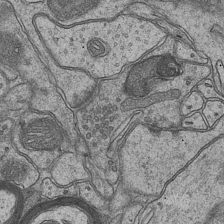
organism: Mouse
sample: CA1 Hippocampus